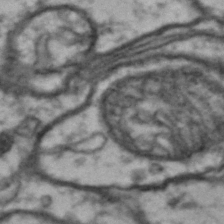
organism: Drosophila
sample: Brain